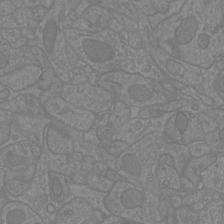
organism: Mouse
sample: Cortical neurons